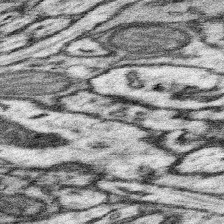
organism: Mouse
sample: Somatosensory cortex neuropil